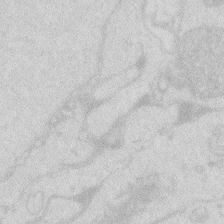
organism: Zebrafish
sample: Macrophage